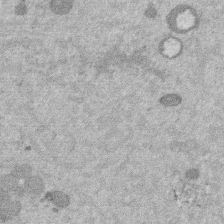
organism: Mouse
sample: Dividing mouse embryo 1 cell stage